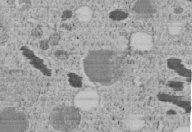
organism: C. elegans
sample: C. elegans embryo early stage